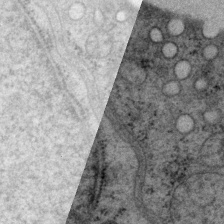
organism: P. pacificus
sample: Pharynx